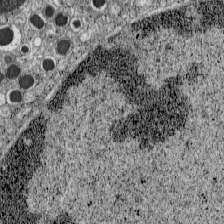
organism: C57BL Mouse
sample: Pancreatic islet